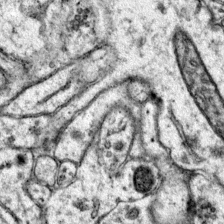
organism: Mouse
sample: Primary visual cortex